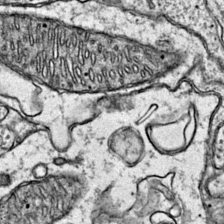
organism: Mouse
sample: Primary visual cortex